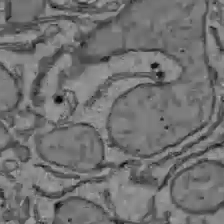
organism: C57BL Mouse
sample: Liver